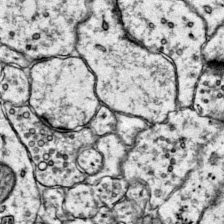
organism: Mouse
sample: Primary visual cortex